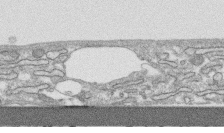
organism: Human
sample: CRL-1474